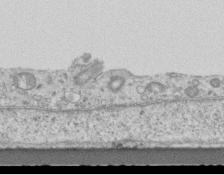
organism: Mouse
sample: Centriole in ependymal cells